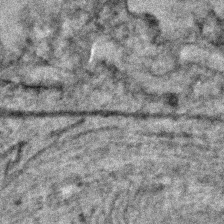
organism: C. elegans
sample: C. elegans embryo